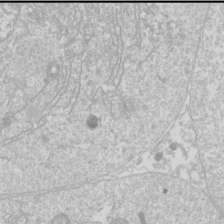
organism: Drosophila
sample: Cell division; meiosis; drosophila spermatocytes